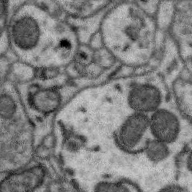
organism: Zebra finch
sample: Brain